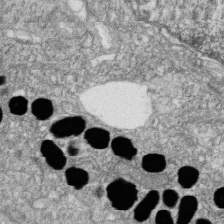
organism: Zebrafish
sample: Cilia; retinal pigment epithelium